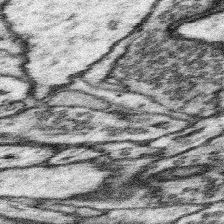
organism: Mouse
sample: Somatosensory cortex neuropil